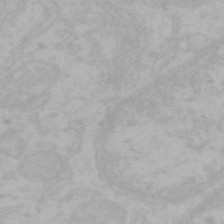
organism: Mouse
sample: Choroid plexus